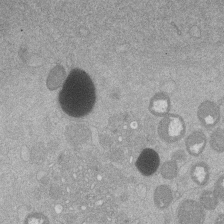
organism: Mouse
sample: Dividing mouse embryo 1 cell stage